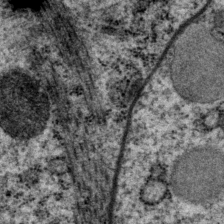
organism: P. pacificus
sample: Pharynx